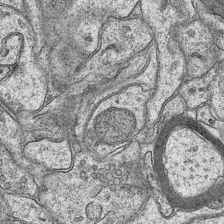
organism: Mouse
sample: CA1 Hippocampus